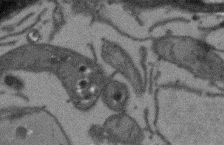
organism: Arabidopsis thaliana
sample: Root tip